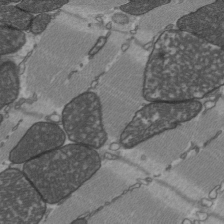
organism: C57BL Mouse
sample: Heart